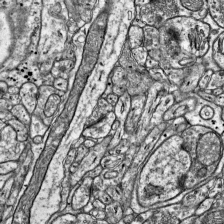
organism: Mouse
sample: Visual Cortex